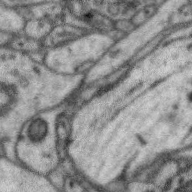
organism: Zebra finch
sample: Brain